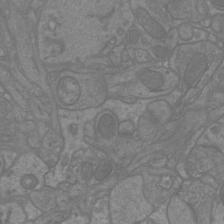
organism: Mouse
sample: Cortical neurons